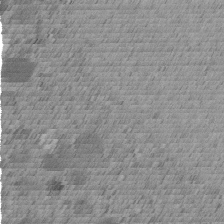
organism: C. elegans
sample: C. elegans embryo early stage